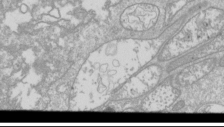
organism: Drosophila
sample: Cell division; meiosis; drosophila spermatocytes